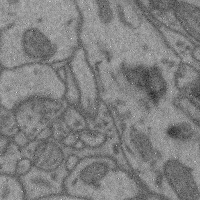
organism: Mouse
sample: Cerebral cortex